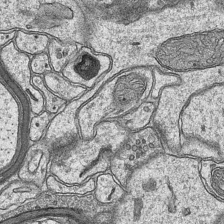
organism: Mouse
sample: CA1 Hippocampus